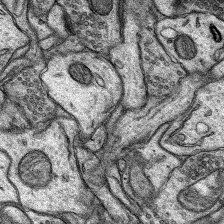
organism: Rat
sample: Hippocampus